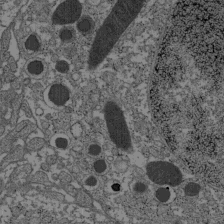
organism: C57BL Mouse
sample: Pancreatic islet